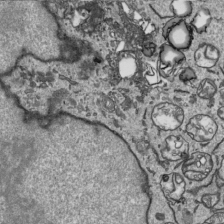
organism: Human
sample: Mitochondria in HCT116 cells